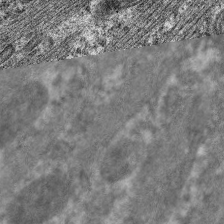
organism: C. elegans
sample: Pharynx